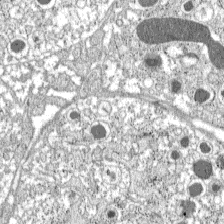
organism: C57BL Mouse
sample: Pancreatic islet